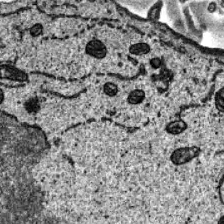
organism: Human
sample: HeLa cells